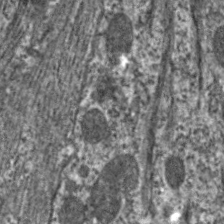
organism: C. elegans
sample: Pharynx